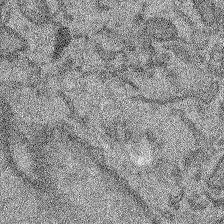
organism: Human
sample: HeLa cells